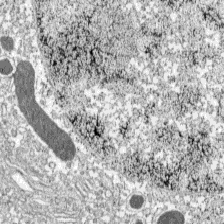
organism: C57BL Mouse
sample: Pancreatic islet